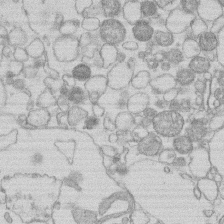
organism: Human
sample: Macrophage cells